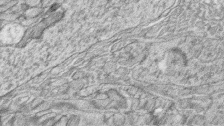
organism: Zebrafish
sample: synaptic ribbons in rod cells and cone cells